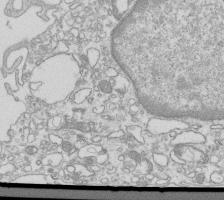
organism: Mouse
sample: Macrophages